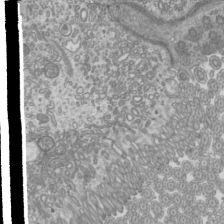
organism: Mouse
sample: Cilia; mouse epididymis